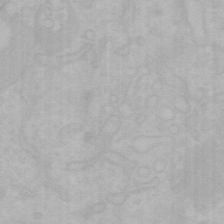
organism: Mouse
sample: Choroid plexus